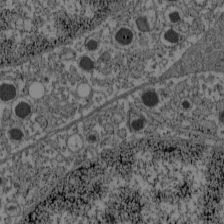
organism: C57BL Mouse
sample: Pancreatic islet